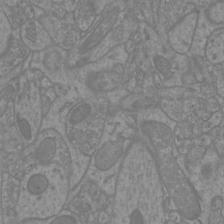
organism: Mouse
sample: Cortical neurons